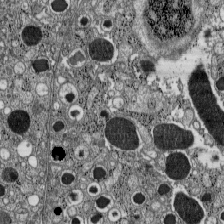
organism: C57BL Mouse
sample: Pancreatic islet